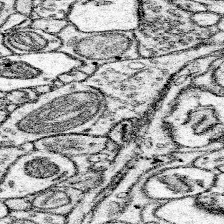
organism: Mouse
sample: Somatosensory cortex neuropil